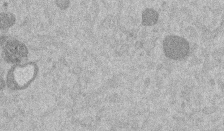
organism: Mouse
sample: Dividing mouse embryo 1 cell stage